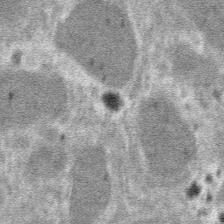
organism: Mouse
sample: Mouse hepatocytes